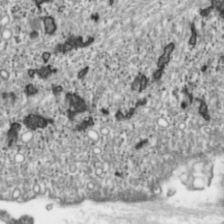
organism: Toxoplasma gondii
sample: Parasites in a vacuole inside a host cell